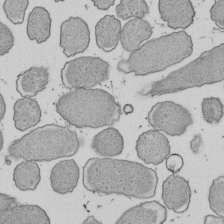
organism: E. coli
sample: Bacterial nucleoid